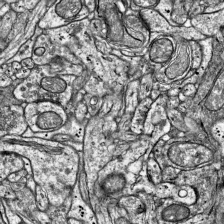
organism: Mouse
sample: Visual Cortex